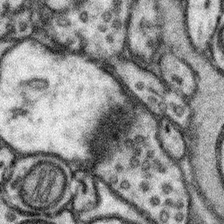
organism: Mouse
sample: Somatosensory cortex neuropil